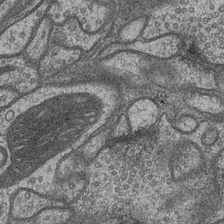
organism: Drosophila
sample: Optic medulla